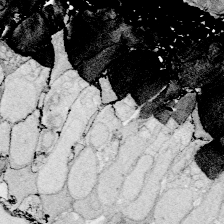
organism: Zebrafish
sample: Whole-Brain